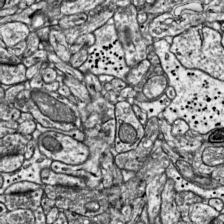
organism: Mouse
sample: Visual Cortex